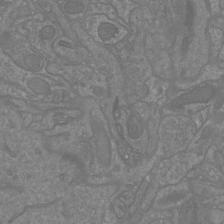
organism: Mouse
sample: Cortical neurons